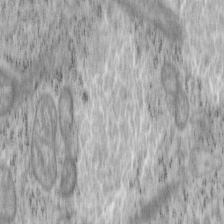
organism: Human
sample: HeLa cells